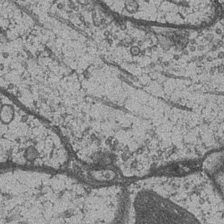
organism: Drosophila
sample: Optic medulla